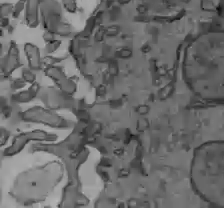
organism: C57BL Mouse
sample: Liver